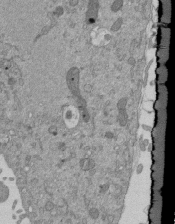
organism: Mouse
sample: ED-1 cell nuclei; centrioles